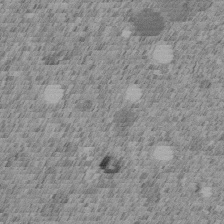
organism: C. elegans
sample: C. elegans embryo early stage